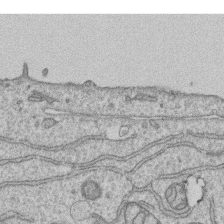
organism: Human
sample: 1205lu cells